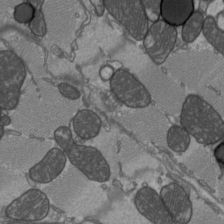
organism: C57BL Mouse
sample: Heart